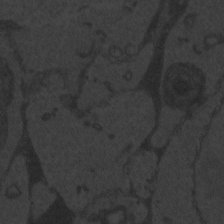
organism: Zebrafish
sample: Macrophage infected with Toxoplasma gondii